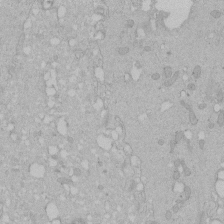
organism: Human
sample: Melanocyte Keratinocyte synapse skin construct